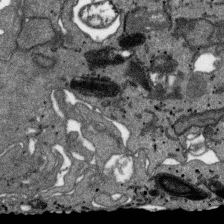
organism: Human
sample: Lung epithelial cells, uninfected (mock) control